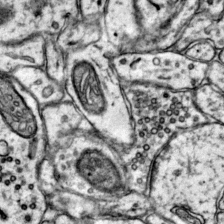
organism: Mouse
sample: Primary visual cortex